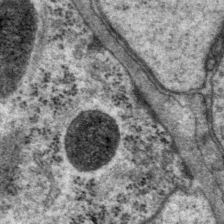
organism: P. pacificus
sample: Pharynx